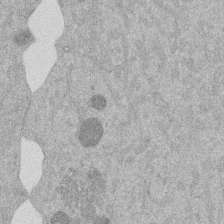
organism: Mouse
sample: Dividing mouse embryo 1 cell stage